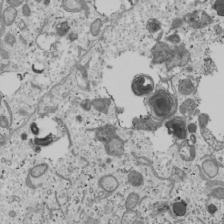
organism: Human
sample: Mitochondria in U2OS cells